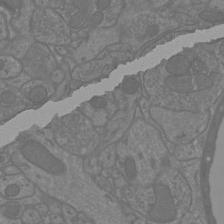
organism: Mouse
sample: Cortical neurons